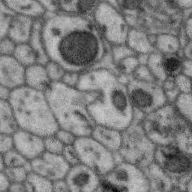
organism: Zebra finch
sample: Brain